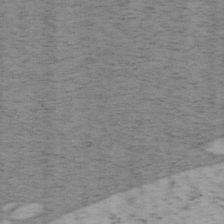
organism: Mouse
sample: OT-I killer T cells with ID8 ovarian cancer cells